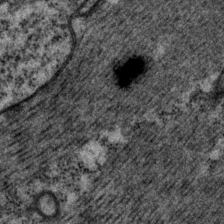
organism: P. pacificus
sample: Pharynx